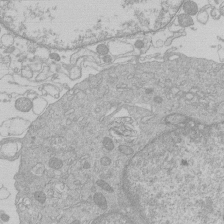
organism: Human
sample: Macrophage cells